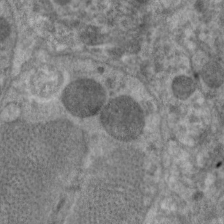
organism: C. elegans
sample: Pharynx